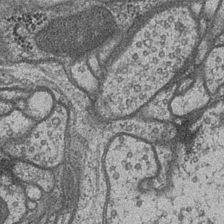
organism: Drosophila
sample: Optic medulla